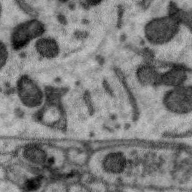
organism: Zebra finch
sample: Brain